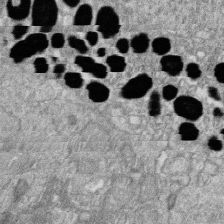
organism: Zebrafish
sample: Cilia; retinal pigment epithelium